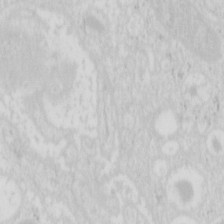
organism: Mouse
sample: Pancreas